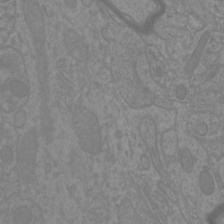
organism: Mouse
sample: Cortical neurons